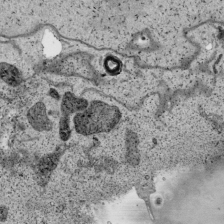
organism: Human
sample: Mitochondria in HCT116 cells